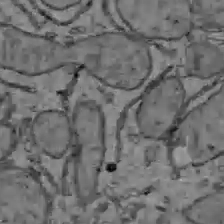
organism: C57BL Mouse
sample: Liver